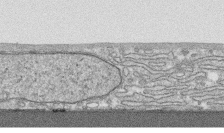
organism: Human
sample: CRL-1474